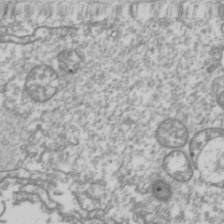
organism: Drosophila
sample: Cell division; meiosis; drosophila spermatocytes